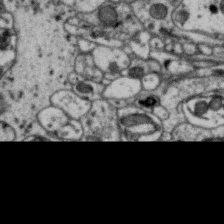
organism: Zebra finch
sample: Brain